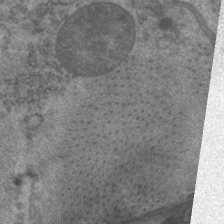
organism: P. pacificus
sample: Pharynx